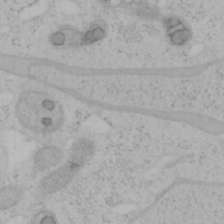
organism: Mouse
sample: OT-I killer T cells with ID8 ovarian cancer cells